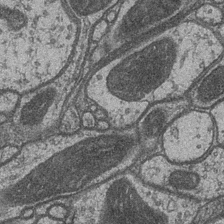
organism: Drosophila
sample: Optic medulla